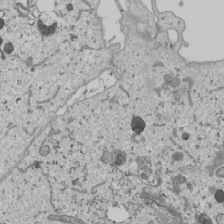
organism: Human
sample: Mitochondria in U2OS cells